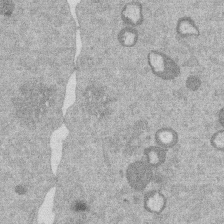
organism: Mouse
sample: Dividing mouse embryo 1 cell stage